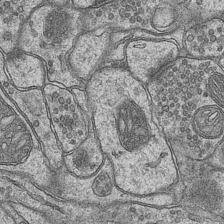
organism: Mouse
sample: CA1 Hippocampus